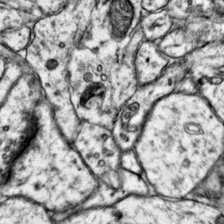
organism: Mouse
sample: Primary visual cortex